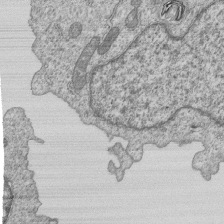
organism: Human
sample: MDA-MB-231 cells